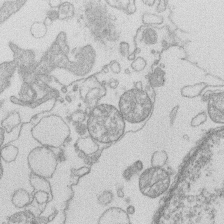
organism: Human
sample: Macrophage cells